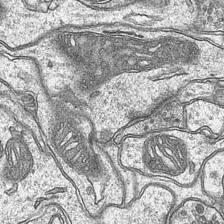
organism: Mouse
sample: CA1 Hippocampus